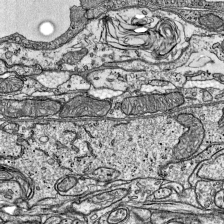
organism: Mouse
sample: Visual Cortex